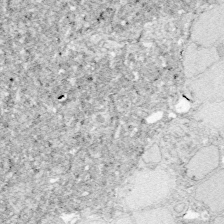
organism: Zebrafish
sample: Whole-Brain